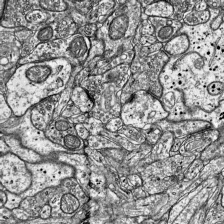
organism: Mouse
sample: Visual Cortex